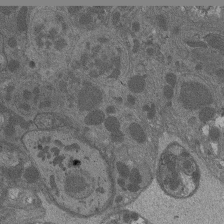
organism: Drosophila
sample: Antenna